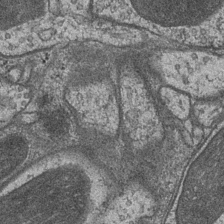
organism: Drosophila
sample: Optic medulla